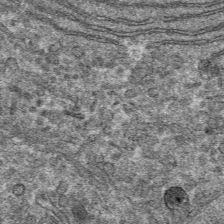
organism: Mouse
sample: Mouse hepatocytes